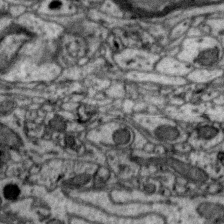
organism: Zebra finch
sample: Brain